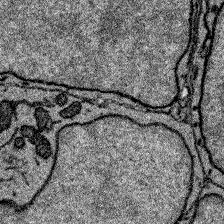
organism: Zebrafish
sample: Larval olfactory bulb